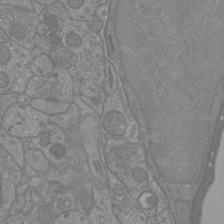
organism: Mouse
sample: Cortical neurons